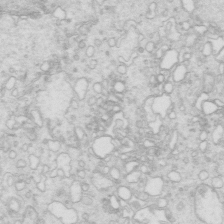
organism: Mouse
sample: Multiciliated cells